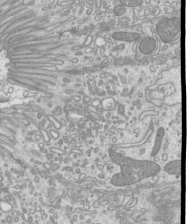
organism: Mouse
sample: Cilia; mouse epididymis